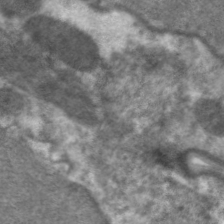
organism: C. elegans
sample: Pharynx